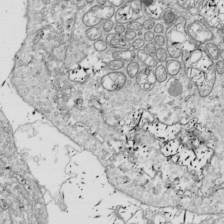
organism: Drosophila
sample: Cell division; meiosis; drosophila spermatocytes